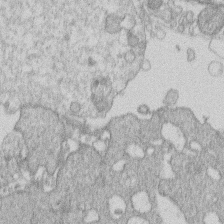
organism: Human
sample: Macrophage cells